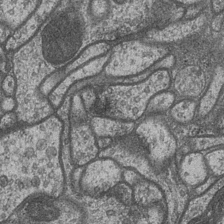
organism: Drosophila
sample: Optic medulla